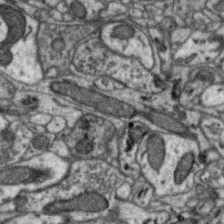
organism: Zebra finch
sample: Brain